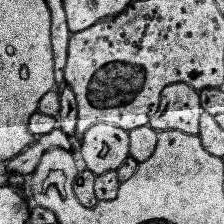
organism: Human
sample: Temporal Lobe